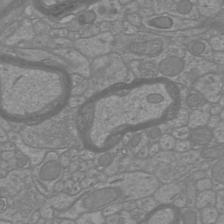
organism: Mouse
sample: Cortical neurons